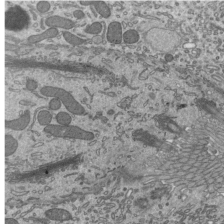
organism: Mouse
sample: Mouse epididymis efferent ductule cilia